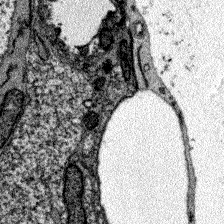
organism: Zebrafish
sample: Larval olfactory bulb